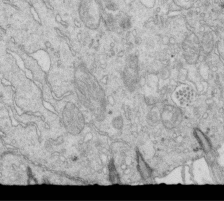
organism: Mouse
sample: Multiciliated cells